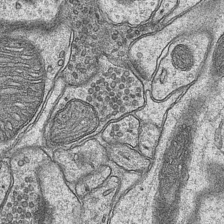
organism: Mouse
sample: CA1 Hippocampus